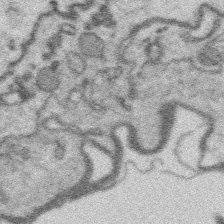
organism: Platynereis dumerilii